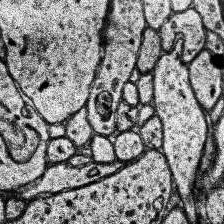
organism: Human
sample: Temporal Lobe